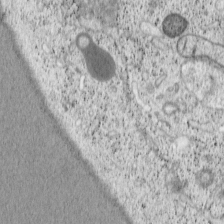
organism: African green monkey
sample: COS-7 cells